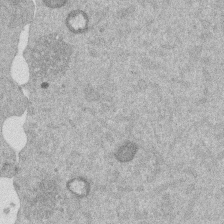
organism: Mouse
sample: Dividing mouse embryo 1 cell stage